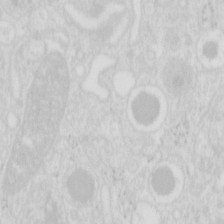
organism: Mouse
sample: Pancreas